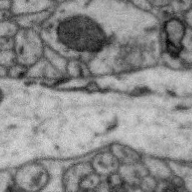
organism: Zebra finch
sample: Brain